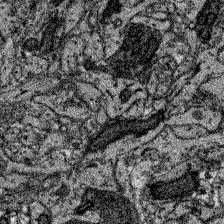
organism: Zebrafish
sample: Larval olfactory bulb